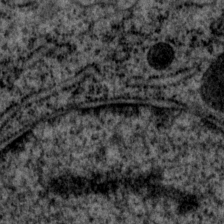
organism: P. pacificus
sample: Pharynx